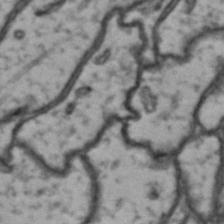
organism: Drosophila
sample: Brain